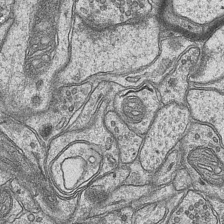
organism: Mouse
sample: CA1 Hippocampus